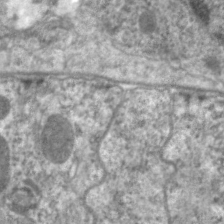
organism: C. elegans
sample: Pharynx